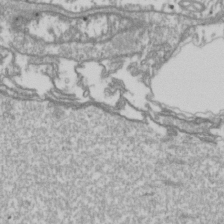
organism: Drosophila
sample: Cell division; meiosis; drosophila spermatocytes